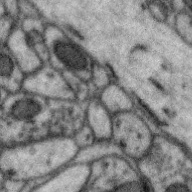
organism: Zebra finch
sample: Brain